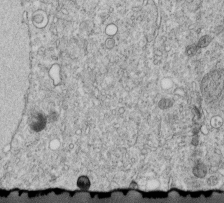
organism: C. elegans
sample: C. elegans embryo early stage